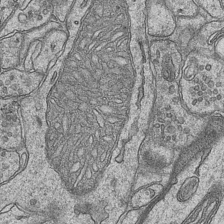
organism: Mouse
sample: CA1 Hippocampus